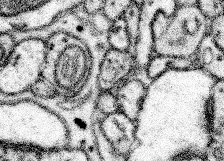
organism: Mouse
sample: Somatosensory cortex neuropil